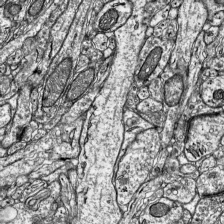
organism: Mouse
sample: Visual Cortex